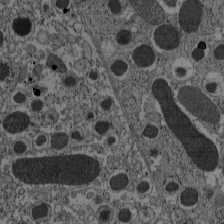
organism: C57BL Mouse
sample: Pancreatic islet